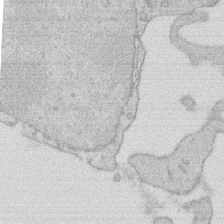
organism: Rat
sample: Salivary granule